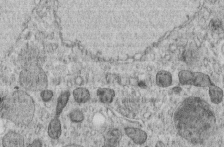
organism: C. elegans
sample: C. elegans embryo early stage